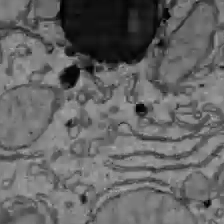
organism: C57BL Mouse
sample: Liver